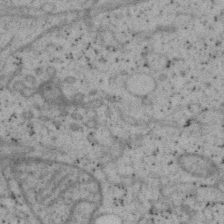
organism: Human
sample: HeLa cells